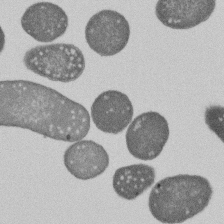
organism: E. coli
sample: Bacterial nucleoid